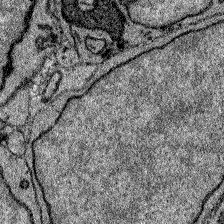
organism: Zebrafish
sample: Larval olfactory bulb